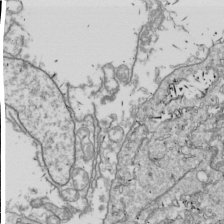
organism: Drosophila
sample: Cell division; meiosis; drosophila spermatocytes